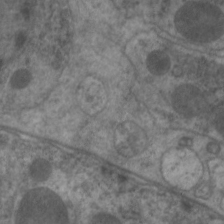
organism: C. elegans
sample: Pharynx